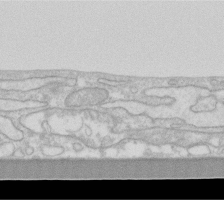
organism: Human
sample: Fibroblast cells